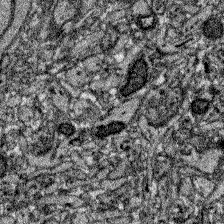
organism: Zebrafish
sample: Larval olfactory bulb